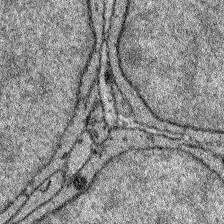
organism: Zebrafish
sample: Larval olfactory bulb